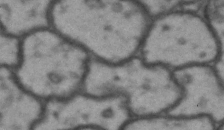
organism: Drosophila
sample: Brain